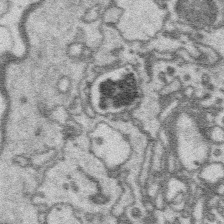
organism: Platynereis dumerilii